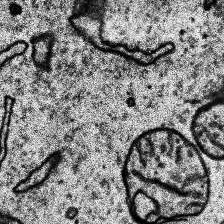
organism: Human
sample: Temporal Lobe